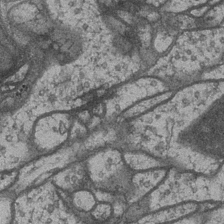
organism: Drosophila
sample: Optic medulla